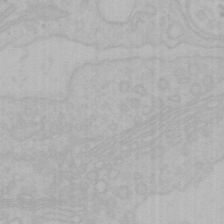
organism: Mouse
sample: Choroid plexus